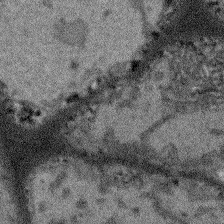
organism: Arabidopsis thaliana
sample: Root tip